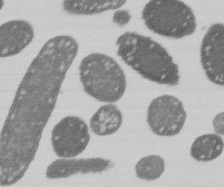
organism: E. coli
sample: Bacterial nucleoid